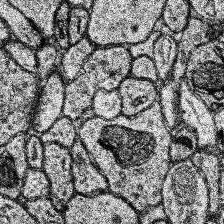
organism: Human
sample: Temporal Lobe